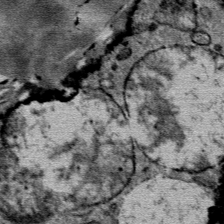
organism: Mouse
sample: Mouse Salivary gland